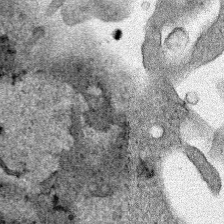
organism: Human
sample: Mitochondria in HCT116 cells